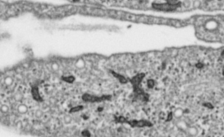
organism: Toxoplasma gondii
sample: Parasites in a vacuole inside a host cell